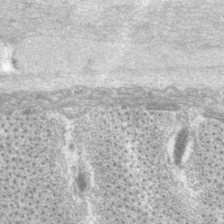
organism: P. pacificus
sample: Pharynx